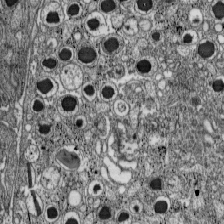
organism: C57BL Mouse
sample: Pancreatic islet